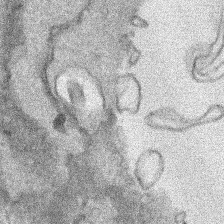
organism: Human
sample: Mitochondria in HCT116 cells